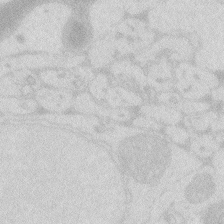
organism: Zebrafish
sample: Macrophage